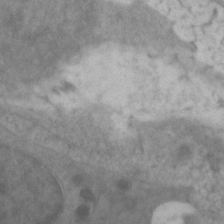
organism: Zebrafish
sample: Zebrafish embryo